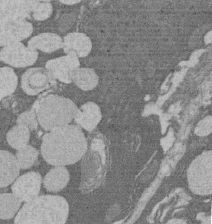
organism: Rat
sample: Salivary granule